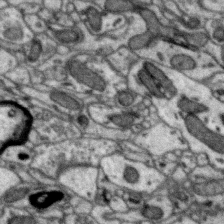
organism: Zebra finch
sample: Brain